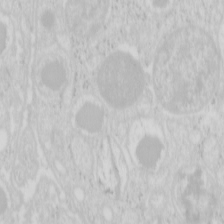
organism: Mouse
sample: Pancreas